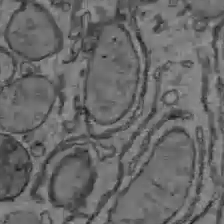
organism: C57BL Mouse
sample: Liver